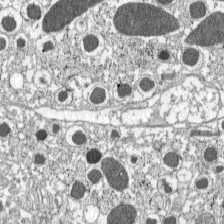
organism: C57BL Mouse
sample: Pancreatic islet